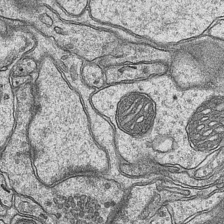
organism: Mouse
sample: CA1 Hippocampus